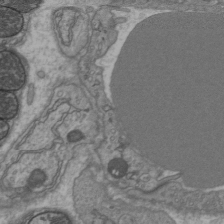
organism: C57BL Mouse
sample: Heart